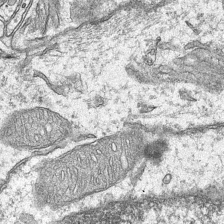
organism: Mouse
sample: CA1 Hippocampus